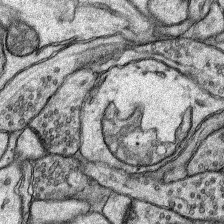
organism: Rat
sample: Hippocampus